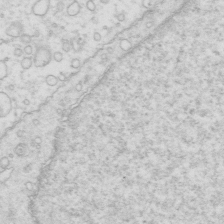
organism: Mouse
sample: Multiciliated cells